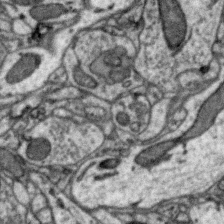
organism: Zebra finch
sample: Brain